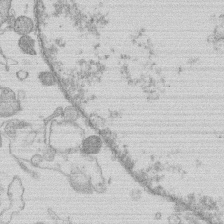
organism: Human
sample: Macrophage cells